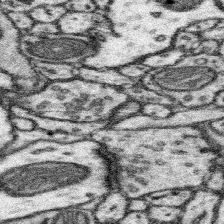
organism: Mouse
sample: Somatosensory cortex neuropil